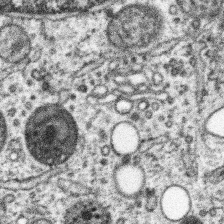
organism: Human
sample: HeLa cells